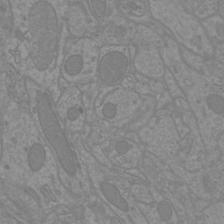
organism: Mouse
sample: Cortical neurons